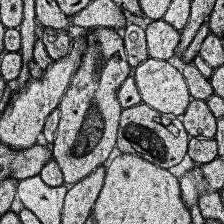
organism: Human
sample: Temporal Lobe